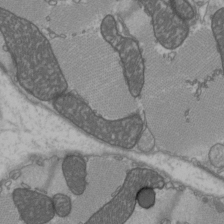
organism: C57BL Mouse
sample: Heart